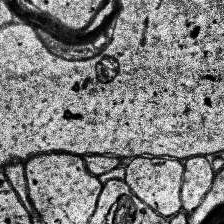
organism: Human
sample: Temporal Lobe